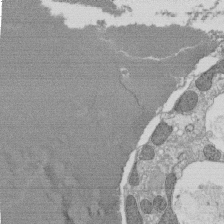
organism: Tetrahymena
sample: Cilia in tetrahymena